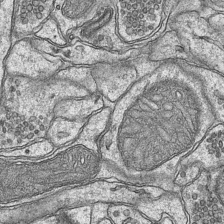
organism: Mouse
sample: CA1 Hippocampus